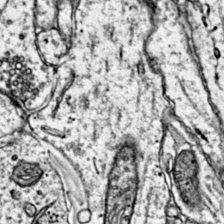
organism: Mouse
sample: Primary visual cortex